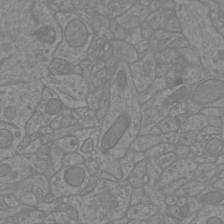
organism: Mouse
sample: Cortical neurons